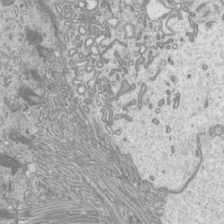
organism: Mouse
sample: Cilia; mouse epididymis